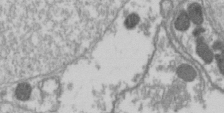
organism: Drosophila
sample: Cell division; meiosis; drosophila spermatocytes